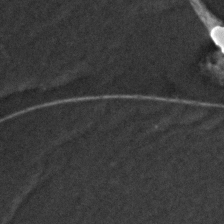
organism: Zebrafish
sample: Zebrafish embryo